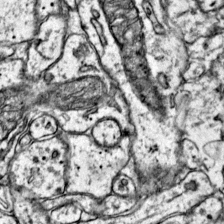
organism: Mouse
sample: Primary visual cortex